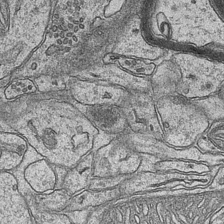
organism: Mouse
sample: CA1 Hippocampus